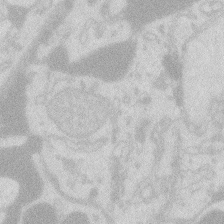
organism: Zebrafish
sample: Macrophage